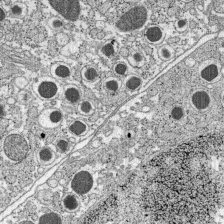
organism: C57BL Mouse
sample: Pancreatic islet